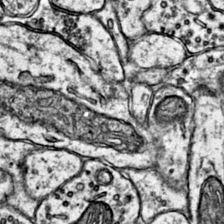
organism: Mouse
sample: Primary visual cortex